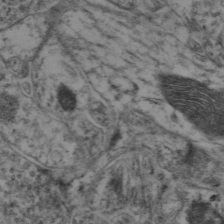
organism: Mouse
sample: Neocortex